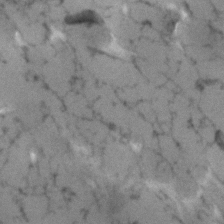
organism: Human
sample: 1205lu cells